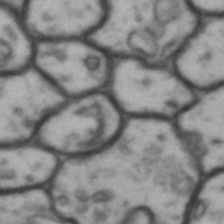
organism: Drosophila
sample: Brain